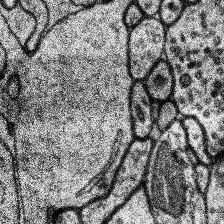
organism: Human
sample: Temporal Lobe